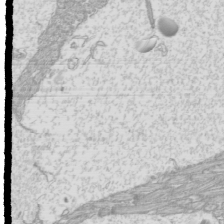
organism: Mouse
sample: Cilia; mouse epididymis